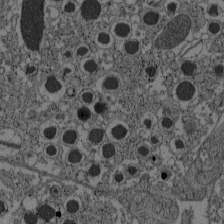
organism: C57BL Mouse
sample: Pancreatic islet